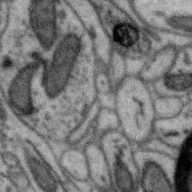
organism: Zebra finch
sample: Brain